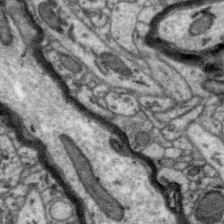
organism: Zebra finch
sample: Brain